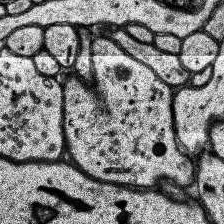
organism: Human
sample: Temporal Lobe